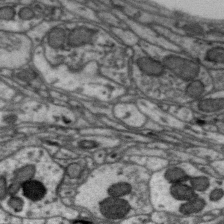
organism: Zebra finch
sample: Brain